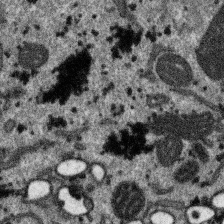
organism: Human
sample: Lung epithelial cells infected with SARS-CoV-2